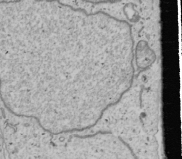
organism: Human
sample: Mitochondria in U2OS cells